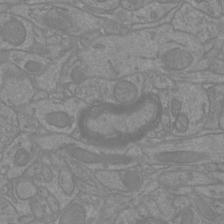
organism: Mouse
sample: Cortical neurons